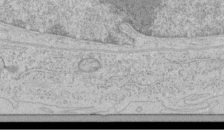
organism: Human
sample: Mitochondria in HCT116 cells